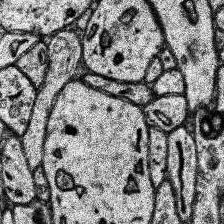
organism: Human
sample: Temporal Lobe